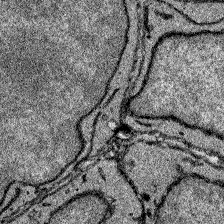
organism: Zebrafish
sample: Larval olfactory bulb